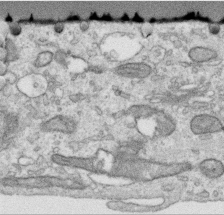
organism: Human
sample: Centriole in RPE cells